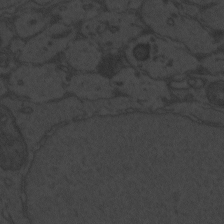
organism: Zebrafish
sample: Macrophage infected with Toxoplasma gondii